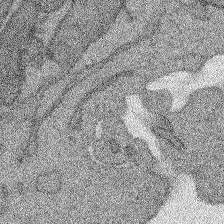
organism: Human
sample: HeLa cells